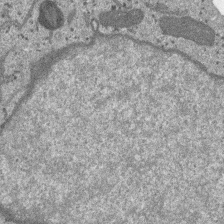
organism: Human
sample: Lung epithelial cells infected with SARS-CoV-2